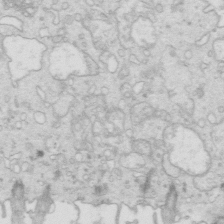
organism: Mouse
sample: Multiciliated cells